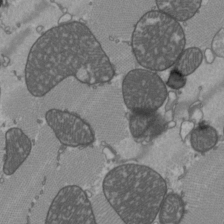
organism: C57BL Mouse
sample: Heart